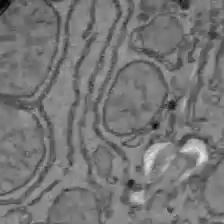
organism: C57BL Mouse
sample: Liver